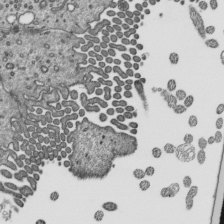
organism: Mouse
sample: Mouse epididymis efferent ductule cilia